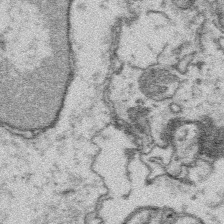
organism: Platynereis dumerilii